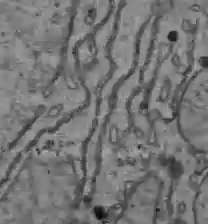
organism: C57BL Mouse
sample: Liver